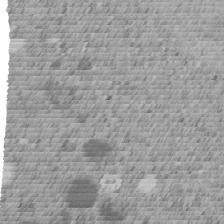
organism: C. elegans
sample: C. elegans embryo early stage